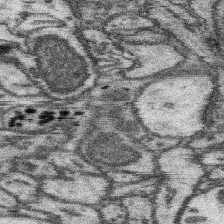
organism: Mouse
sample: Somatosensory cortex neuropil